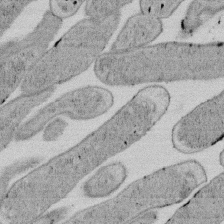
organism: E. coli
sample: Bacterial nucleoid